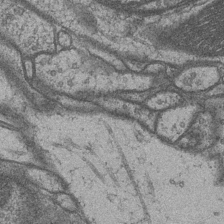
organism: Drosophila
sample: Optic medulla